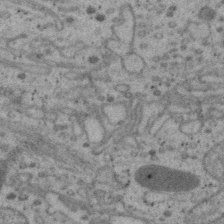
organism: Human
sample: HeLa cells